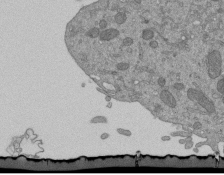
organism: Mouse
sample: ED-1 cell nuclei; centrioles